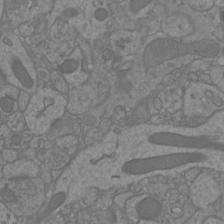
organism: Mouse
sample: Cortical neurons